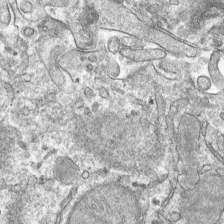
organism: Mouse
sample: Mouse hepatocytes